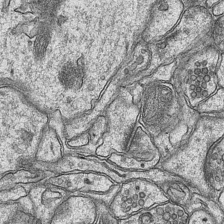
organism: Mouse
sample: CA1 Hippocampus